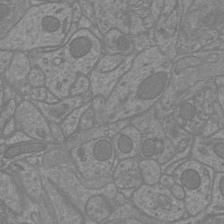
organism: Mouse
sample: Cortical neurons